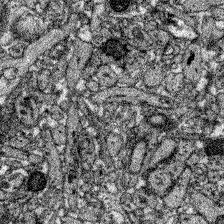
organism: Zebrafish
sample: Larval olfactory bulb